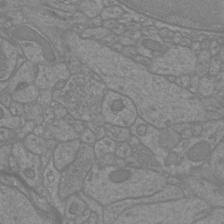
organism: Mouse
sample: Cortical neurons